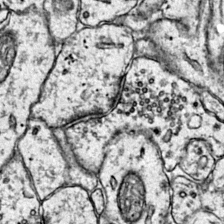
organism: Mouse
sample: Primary visual cortex